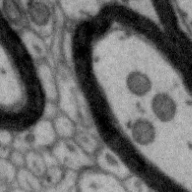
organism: Zebra finch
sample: Brain